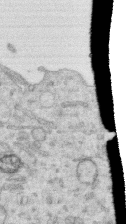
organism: Human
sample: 1205lu cells